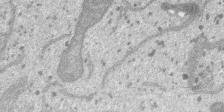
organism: Human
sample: Lung epithelial cells infected with SARS-CoV-2